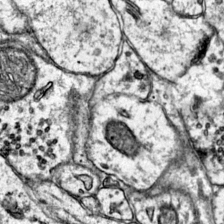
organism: Mouse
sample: Primary visual cortex